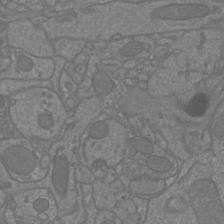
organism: Mouse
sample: Cortical neurons